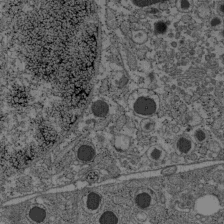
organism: C57BL Mouse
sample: Pancreatic islet